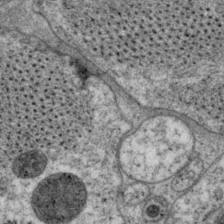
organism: P. pacificus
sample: Pharynx